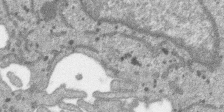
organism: Human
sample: Lung epithelial cells infected with SARS-CoV-2